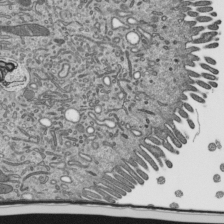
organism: Mouse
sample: Mouse epididymis efferent ductule cilia